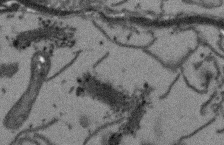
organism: Arabidopsis thaliana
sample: Root tip